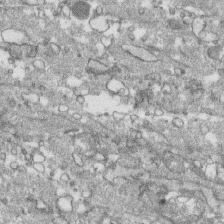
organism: Human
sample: CRL-1474